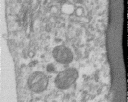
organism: Human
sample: Centriole in RPE cells